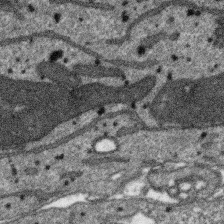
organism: Human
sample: Lung epithelial cells infected with SARS-CoV-2